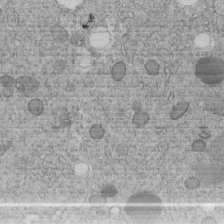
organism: C. elegans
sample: C. elegans embryo early stage